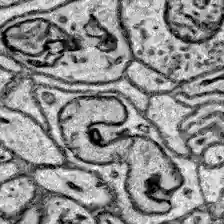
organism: Zebrafish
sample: Brain